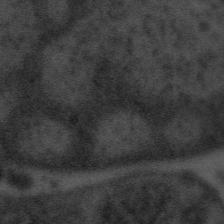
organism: Tuwongella immobilis